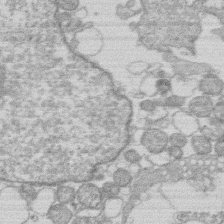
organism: Human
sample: Macrophage cells